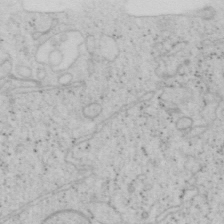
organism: Human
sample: HeLa cells